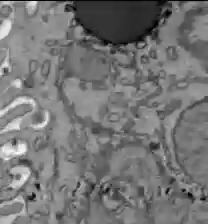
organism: C57BL Mouse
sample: Liver